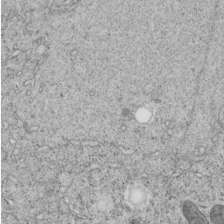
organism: C. elegans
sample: C. elegans embryo early stage